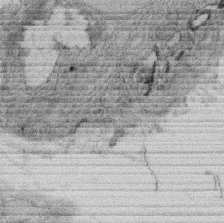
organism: Rat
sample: Salivary granule